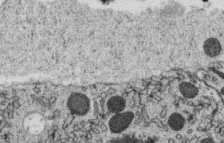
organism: C. elegans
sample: C. elegans oocyte; sperm cells